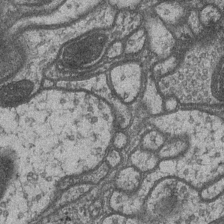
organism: Drosophila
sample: Optic medulla